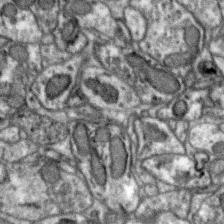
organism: Zebra finch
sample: Brain